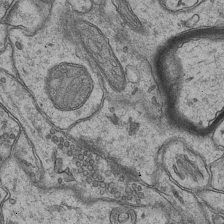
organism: Mouse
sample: CA1 Hippocampus